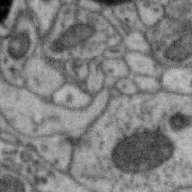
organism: Zebra finch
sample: Brain